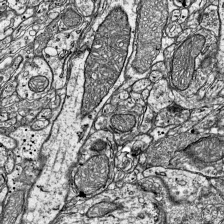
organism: Mouse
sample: Visual Cortex